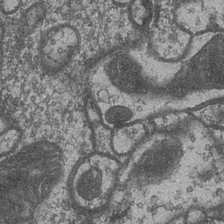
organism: Drosophila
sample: Optic medulla